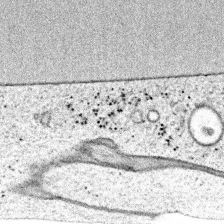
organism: Human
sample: HeLa cells